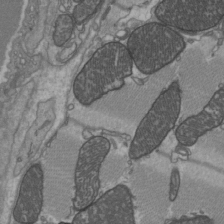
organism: C57BL Mouse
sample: Heart